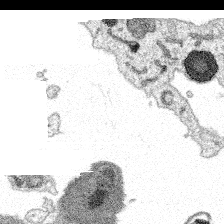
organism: Spongilla lacustris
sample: Multiple